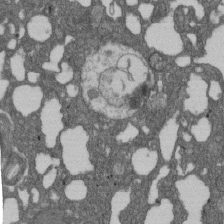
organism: Drosophila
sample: Nephrocyte